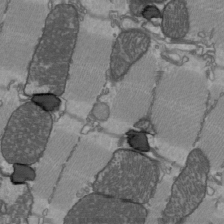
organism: C57BL Mouse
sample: Heart